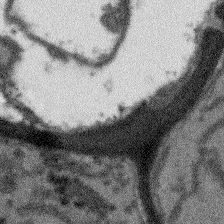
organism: Arabidopsis thaliana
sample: Root tip